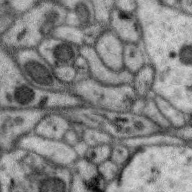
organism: Zebra finch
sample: Brain